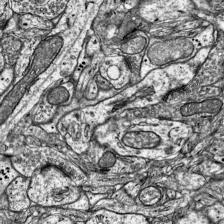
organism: Mouse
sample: Visual Cortex